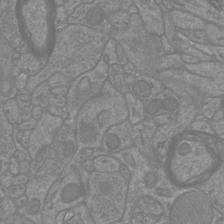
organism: Mouse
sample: Cortical neurons